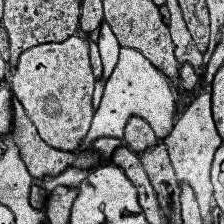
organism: Human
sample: Temporal Lobe